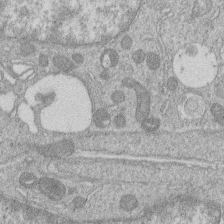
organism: Human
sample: Macrophage cells